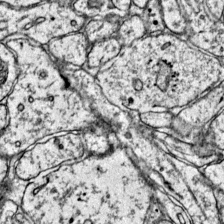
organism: Mouse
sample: Primary visual cortex